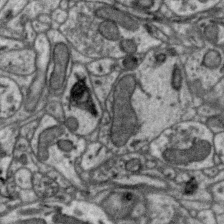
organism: Zebra finch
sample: Brain